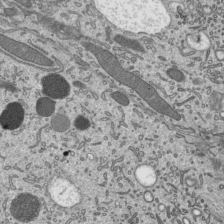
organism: Mouse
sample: Mouse epididymis efferent ductule cilia